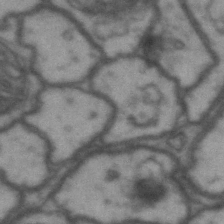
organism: Drosophila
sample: Brain